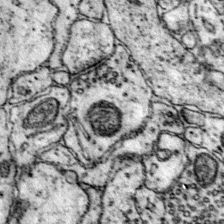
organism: Mouse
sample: Primary visual cortex